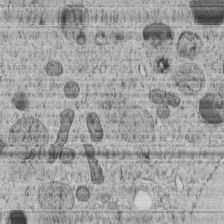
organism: C. elegans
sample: C. elegans embryo early stage